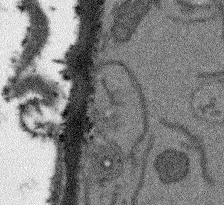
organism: Arabidopsis thaliana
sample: Root tip